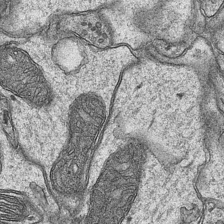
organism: Mouse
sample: CA1 Hippocampus